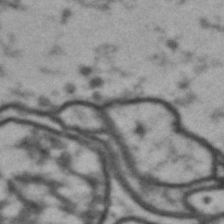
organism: Drosophila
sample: Brain